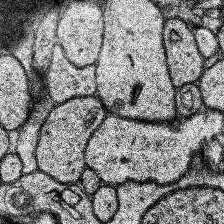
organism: Human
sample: Temporal Lobe